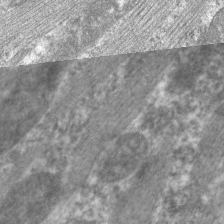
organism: C. elegans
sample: Pharynx